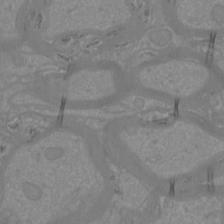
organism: Mouse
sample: Cortical neurons